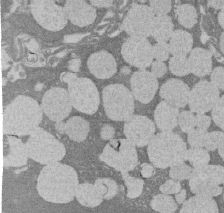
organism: Rat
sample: Salivary granule